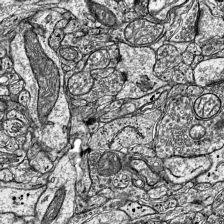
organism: Mouse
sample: Visual Cortex